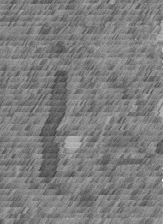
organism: C. elegans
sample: C. elegans embryo early stage